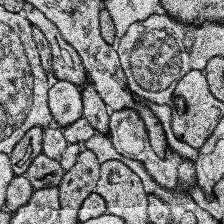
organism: Human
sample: Temporal Lobe